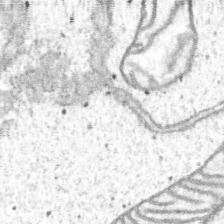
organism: Human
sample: HeLa cells